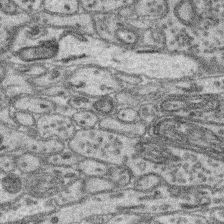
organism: Mouse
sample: Retina